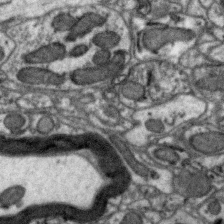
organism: Zebra finch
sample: Brain